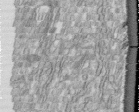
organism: Human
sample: Centriole in fibroblast cells